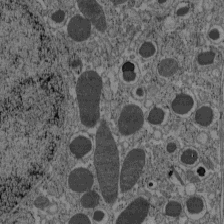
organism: C57BL Mouse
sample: Pancreatic islet